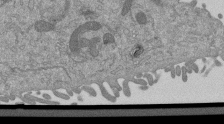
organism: Mouse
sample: ED-1 cell nuclei; centrioles